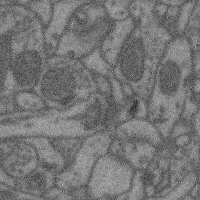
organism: Mouse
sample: Cerebral cortex